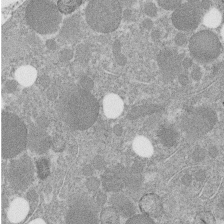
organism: C. elegans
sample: C. elegans embryo early stage